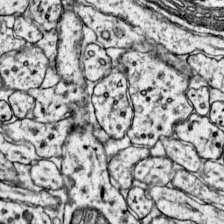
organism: Mouse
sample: Primary visual cortex